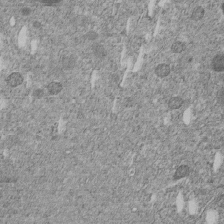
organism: C. elegans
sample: C. elegans embryo early stage